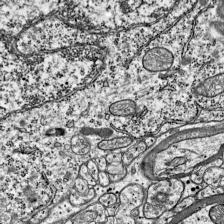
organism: Mouse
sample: Visual Cortex